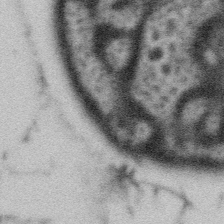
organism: Gemmata obscuriglobus